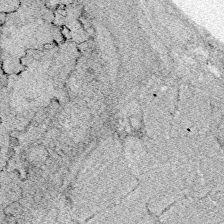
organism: Zebrafish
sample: Whole-Brain